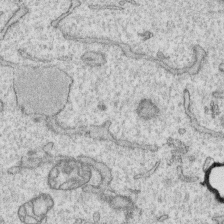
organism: Human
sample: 1205lu cells